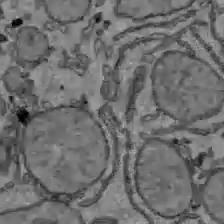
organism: C57BL Mouse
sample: Liver